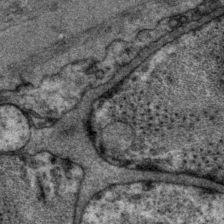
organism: P. pacificus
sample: Pharynx